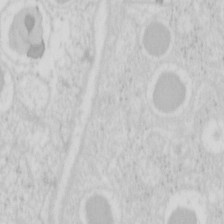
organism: Mouse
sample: Pancreas